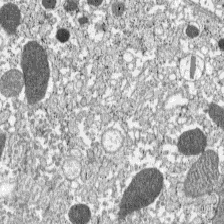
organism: C57BL Mouse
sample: Pancreatic islet